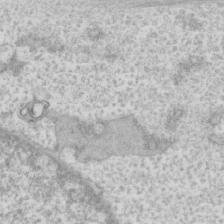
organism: Human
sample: Fibroblast cells